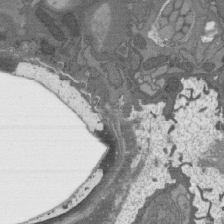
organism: C. elegans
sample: AFD neurons C. elegans